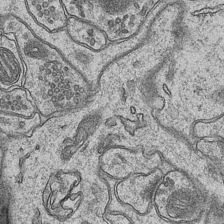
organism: Mouse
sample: CA1 Hippocampus